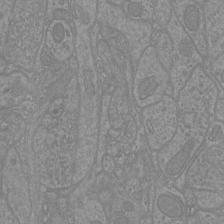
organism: Mouse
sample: Cortical neurons